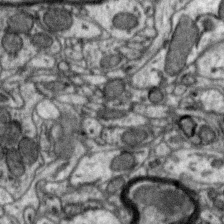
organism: Zebra finch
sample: Brain